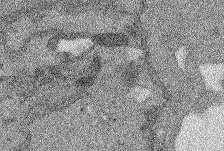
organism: Human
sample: HeLa cells